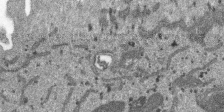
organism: Human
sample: Lung epithelial cells infected with SARS-CoV-2